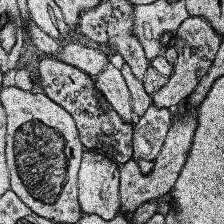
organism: Human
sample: Temporal Lobe